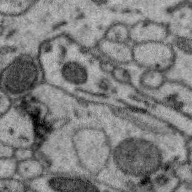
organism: Zebra finch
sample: Brain